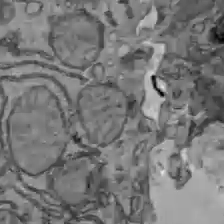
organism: C57BL Mouse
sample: Liver